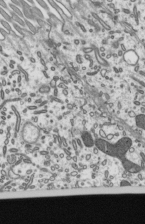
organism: Mouse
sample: Mouse epididymis efferent ductule cilia